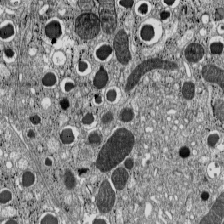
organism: C57BL Mouse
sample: Pancreatic islet